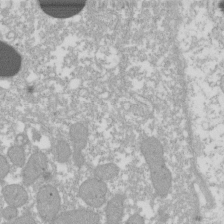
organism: Xenopus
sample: Cilia; centrioles in frog embryo cells